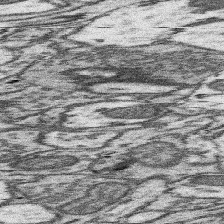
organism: Mouse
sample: Somatosensory cortex neuropil